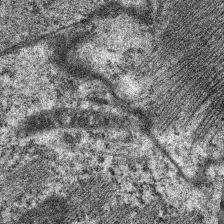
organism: C. elegans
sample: Pharynx